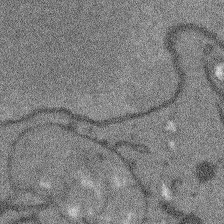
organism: Arabidopsis thaliana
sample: Root tip